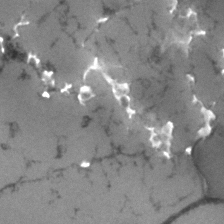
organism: Human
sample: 1205lu cells